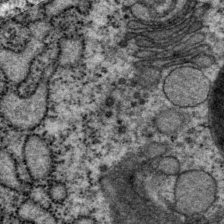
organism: P. pacificus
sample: Pharynx